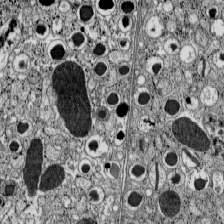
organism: C57BL Mouse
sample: Pancreatic islet